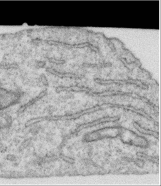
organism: Human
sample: Centriole in RPE cells